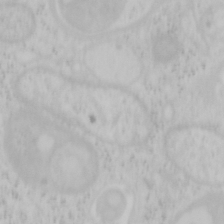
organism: Mouse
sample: OT-I killer T cells with ID8 ovarian cancer cells